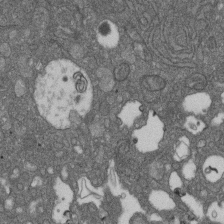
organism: Drosophila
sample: Nephrocyte